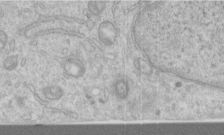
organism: Human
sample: Centriole in RPE cells